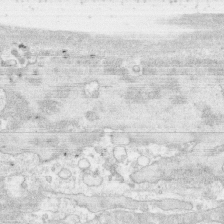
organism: Human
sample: CRL-1474